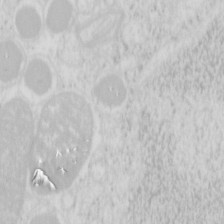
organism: Mouse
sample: Pancreas